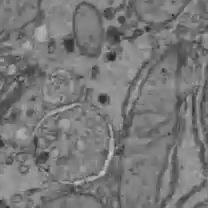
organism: C57BL Mouse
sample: Liver